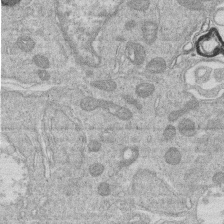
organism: Human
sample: Macrophage cells